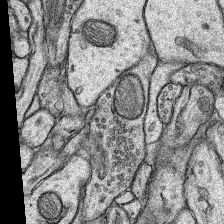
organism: Rat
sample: Hippocampus